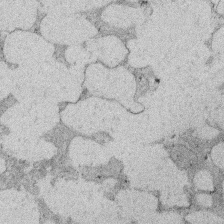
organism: Rat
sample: Salivary granule